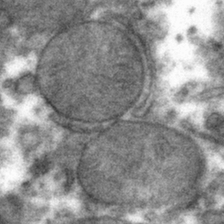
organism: Mouse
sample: Mouse hepatocytes